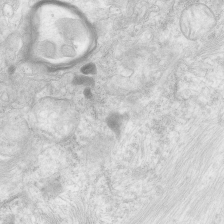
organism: Human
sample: Neocortex